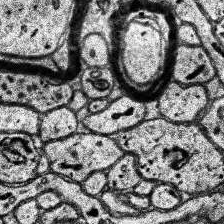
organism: Human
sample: Temporal Lobe